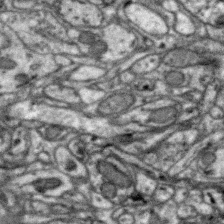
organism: Zebra finch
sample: Brain